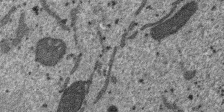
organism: Human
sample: Lung epithelial cells infected with SARS-CoV-2